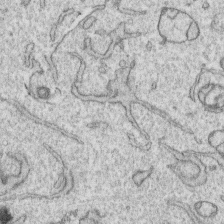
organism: Human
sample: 1205lu cells